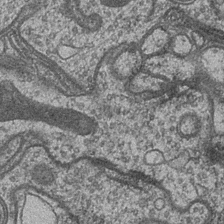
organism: Drosophila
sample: Optic medulla